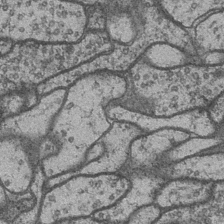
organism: Drosophila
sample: Optic medulla